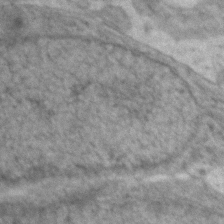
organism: Zebrafish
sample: Zebrafish embryo